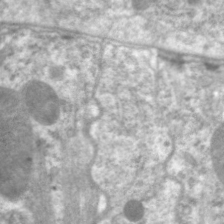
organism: C. elegans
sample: Pharynx